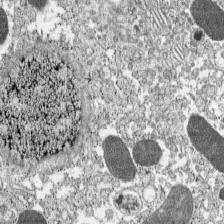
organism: C57BL Mouse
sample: Pancreatic islet